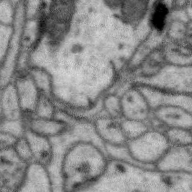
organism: Zebra finch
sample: Brain